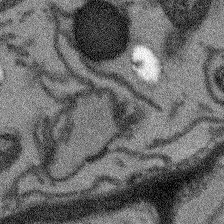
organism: Arabidopsis thaliana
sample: Root tip